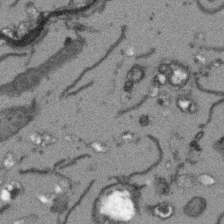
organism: Arabidopsis thaliana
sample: Root tip